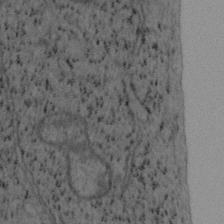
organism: Human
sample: HeLa cells